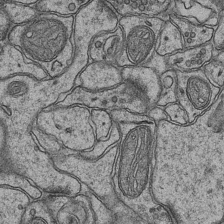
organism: Mouse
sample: CA1 Hippocampus